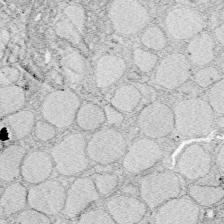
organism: Zebrafish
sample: Whole-Brain